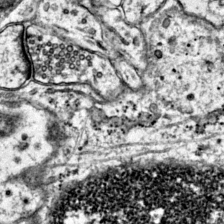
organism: Mouse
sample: Primary visual cortex